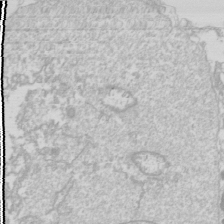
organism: Drosophila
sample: Cell division; meiosis; drosophila spermatocytes